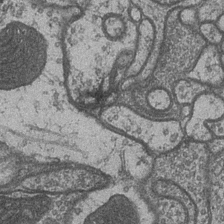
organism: Drosophila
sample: Optic medulla